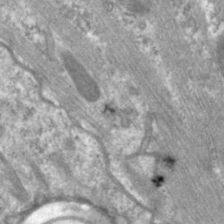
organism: C. elegans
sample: Pharynx